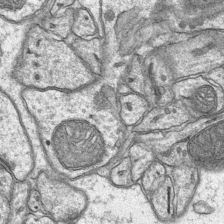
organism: Mouse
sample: CA1 Hippocampus